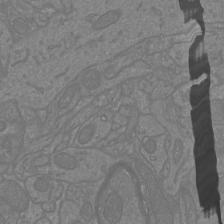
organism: Mouse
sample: Cortical neurons